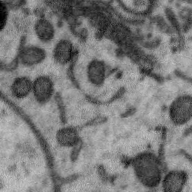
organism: Zebra finch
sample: Brain